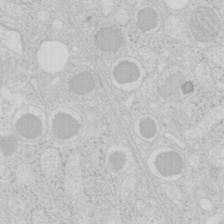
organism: Mouse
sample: Pancreas